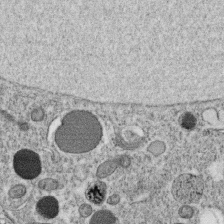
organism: C. elegans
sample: C. elegans oocyte; sperm cells